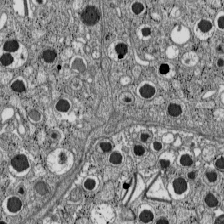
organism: C57BL Mouse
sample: Pancreatic islet